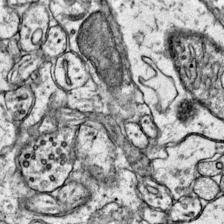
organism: Mouse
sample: Primary visual cortex